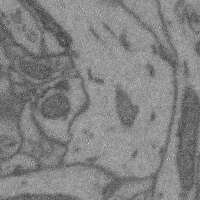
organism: Mouse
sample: Cerebral cortex